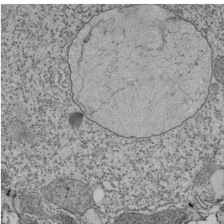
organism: Tetrahymena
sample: Cilia in tetrahymena